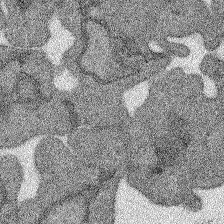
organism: Human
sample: HeLa cells